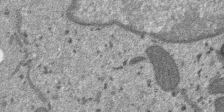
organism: Human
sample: Lung epithelial cells infected with SARS-CoV-2